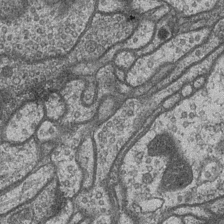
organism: Drosophila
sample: Optic medulla